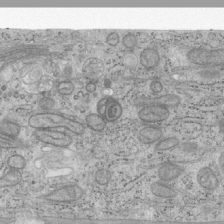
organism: Human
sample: HeLa cells